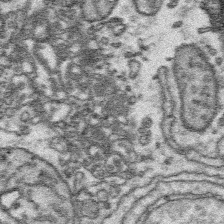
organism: Platynereis dumerilii